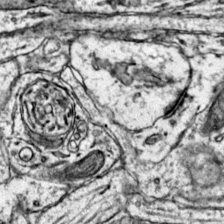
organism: Mouse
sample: Primary visual cortex